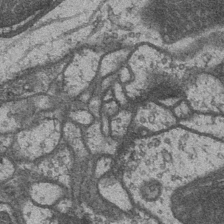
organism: Drosophila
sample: Optic medulla